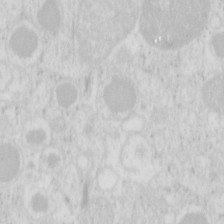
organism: Mouse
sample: Pancreas